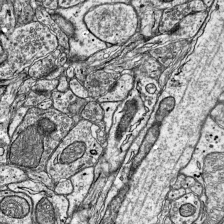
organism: Mouse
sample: Visual Cortex